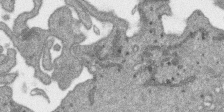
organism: Human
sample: Lung epithelial cells infected with SARS-CoV-2